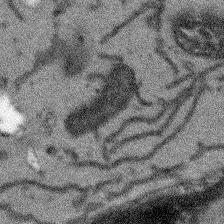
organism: Arabidopsis thaliana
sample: Root tip